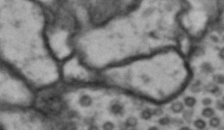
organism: Drosophila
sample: Brain